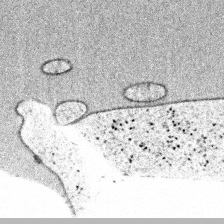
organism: Human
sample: HeLa cells